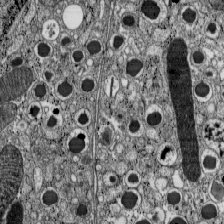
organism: C57BL Mouse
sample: Pancreatic islet